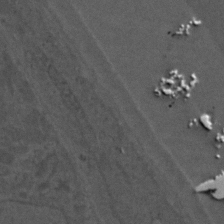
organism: C. elegans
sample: C. elegans embryo